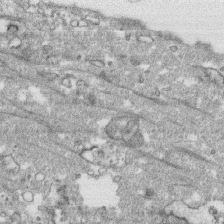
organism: Human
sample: CRL-1474